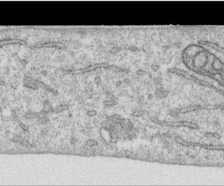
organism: Human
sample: Centriole in RPE cells